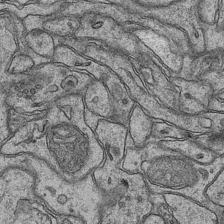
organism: Mouse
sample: CA1 Hippocampus